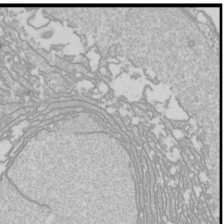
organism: Drosophila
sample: Cell division; meiosis; drosophila spermatocytes